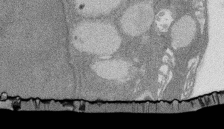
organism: Rat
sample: Salivary granule